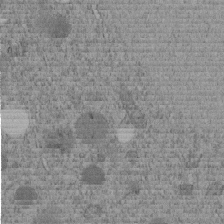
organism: C. elegans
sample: C. elegans embryo early stage